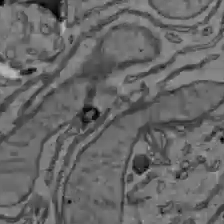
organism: C57BL Mouse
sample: Liver